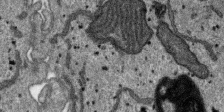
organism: Human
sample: Lung epithelial cells, uninfected (mock) control